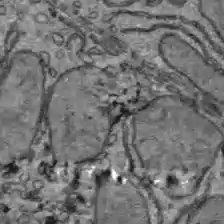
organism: C57BL Mouse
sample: Liver